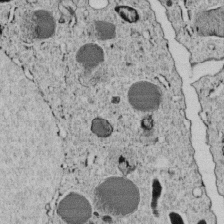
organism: C. elegans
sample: C. elegans embryo early stage